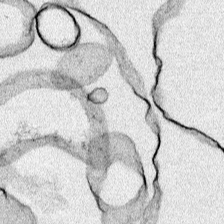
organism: Human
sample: Mitochondria in HCT116 cells